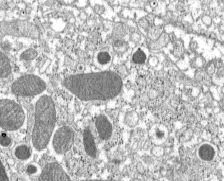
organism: C57BL Mouse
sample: Pancreatic islet